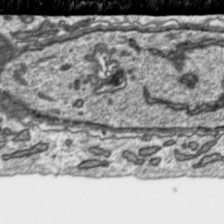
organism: Toxoplasma gondii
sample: Parasites in a vacuole inside a host cell